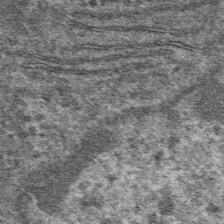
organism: Mouse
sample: Mouse hepatocytes